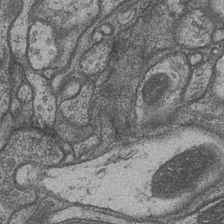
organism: Drosophila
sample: Optic medulla